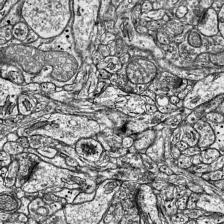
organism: Mouse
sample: Visual Cortex